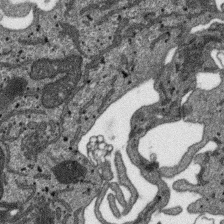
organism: Human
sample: Lung epithelial cells infected with SARS-CoV-2